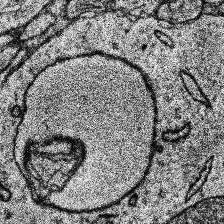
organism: Human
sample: Temporal Lobe